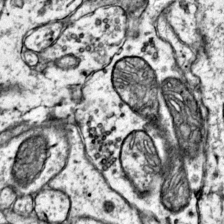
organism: Mouse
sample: Primary visual cortex